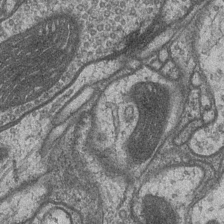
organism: Drosophila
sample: Optic medulla